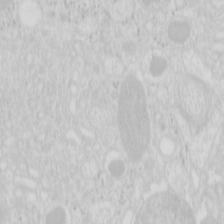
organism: Mouse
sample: Pancreas